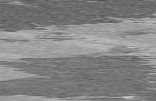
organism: C57BL Mouse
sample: Heart